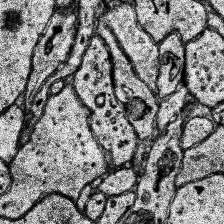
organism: Human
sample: Temporal Lobe